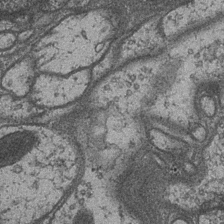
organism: Drosophila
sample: Optic medulla